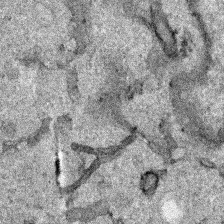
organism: Human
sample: Mitochondria in HCT116 cells